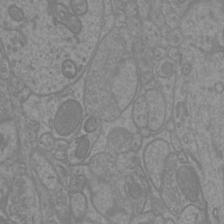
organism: Mouse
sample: Cortical neurons